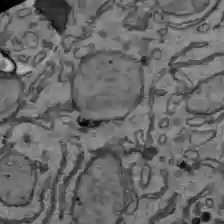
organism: C57BL Mouse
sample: Liver